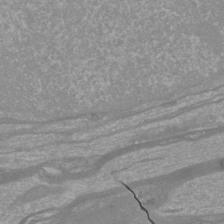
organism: Mouse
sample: Cortical neurons